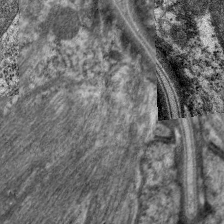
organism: C. elegans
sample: Pharynx